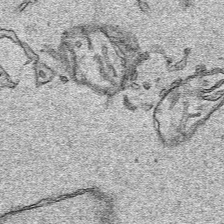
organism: Human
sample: Mitochondria in HCT116 cells